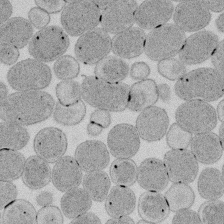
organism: E. coli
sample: Bacterial nucleoid